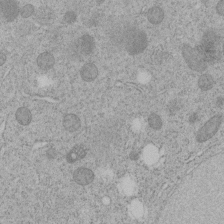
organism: C. elegans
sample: C. elegans embryo early stage